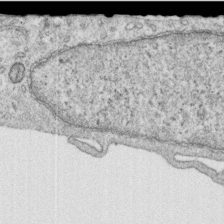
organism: Human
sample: Centriole in RPE cells